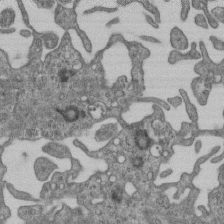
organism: Mouse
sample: Centriole in ependymal cells